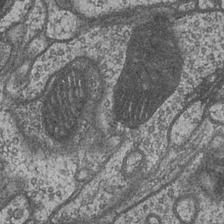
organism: Drosophila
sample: Optic medulla